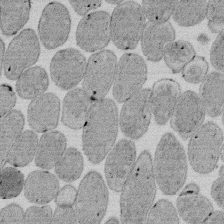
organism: E. coli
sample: Bacterial nucleoid